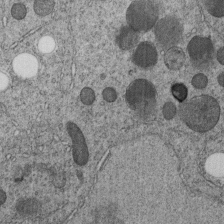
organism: C. elegans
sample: C. elegans embryo early stage